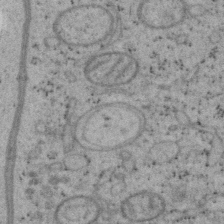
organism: Human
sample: HeLa cells